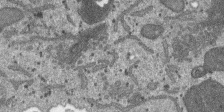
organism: Human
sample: Lung epithelial cells infected with SARS-CoV-2